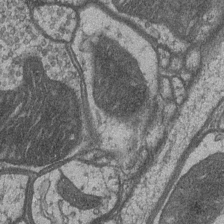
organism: Drosophila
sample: Optic medulla